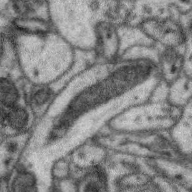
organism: Zebra finch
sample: Brain